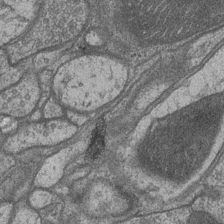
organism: Drosophila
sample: Optic medulla